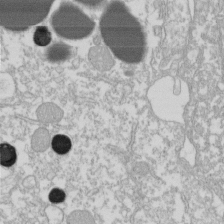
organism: Xenopus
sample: Cilia; centrioles in frog embryo cells